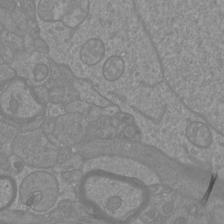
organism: Mouse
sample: Cortical neurons